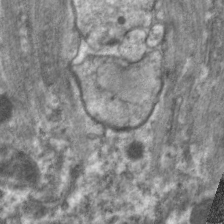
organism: C. elegans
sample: Pharynx